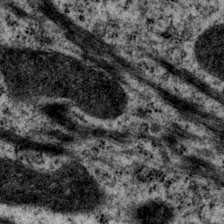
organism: P. pacificus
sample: Pharynx